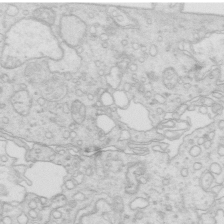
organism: Mouse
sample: Multiciliated cells